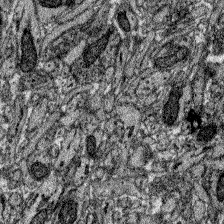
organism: Zebrafish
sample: Larval olfactory bulb